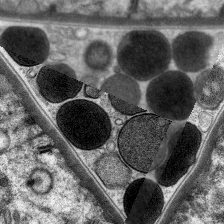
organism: C. elegans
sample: Pharynx